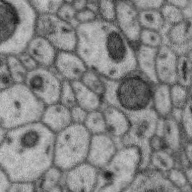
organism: Zebra finch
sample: Brain